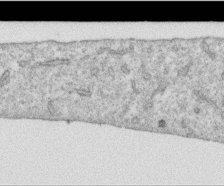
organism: Human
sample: Centriole in RPE cells